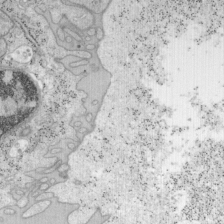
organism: Mouse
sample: OT-I killer T cells with ID8 ovarian cancer cells